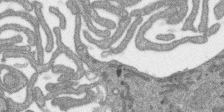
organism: Human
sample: Lung epithelial cells infected with SARS-CoV-2